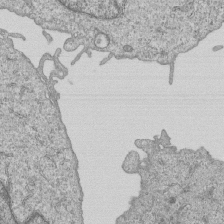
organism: Human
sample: MDA-MB-231 cells